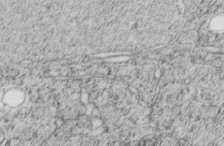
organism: C. elegans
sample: C. elegans embryo early stage